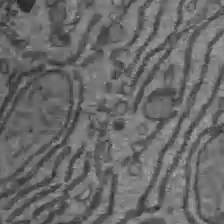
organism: C57BL Mouse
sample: Liver